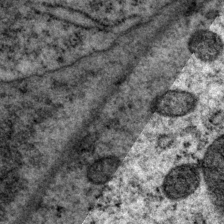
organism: P. pacificus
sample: Pharynx